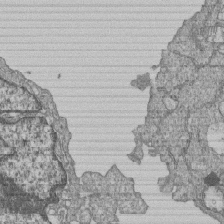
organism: Human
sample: MDA-MB-231 cells